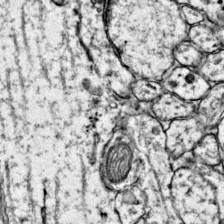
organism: Mouse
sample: Primary visual cortex